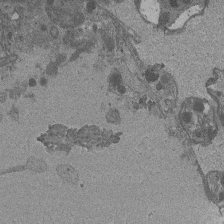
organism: Drosophila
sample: Antenna